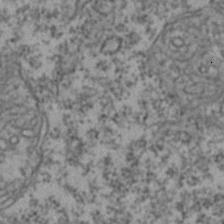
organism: Zebrafish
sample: Zebrafish embryo